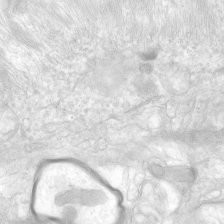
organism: Human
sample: Neocortex